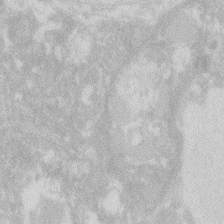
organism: Zebrafish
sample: Macrophage